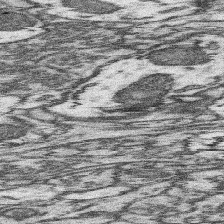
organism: Mouse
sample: Somatosensory cortex neuropil